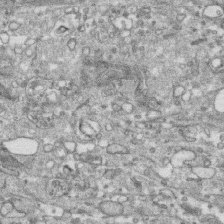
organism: Human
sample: CRL-1474